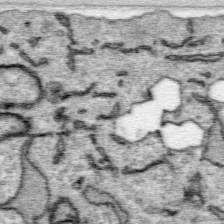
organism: Human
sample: HeLa cells